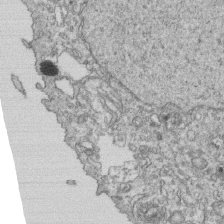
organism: Human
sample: HeLa cell HIV synapse